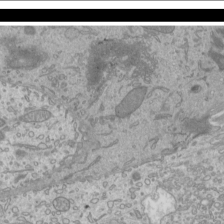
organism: Mouse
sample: Cilia; mouse epididymis